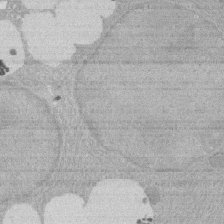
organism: Rat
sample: Salivary granule